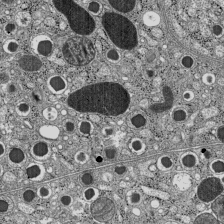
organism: C57BL Mouse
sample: Pancreatic islet